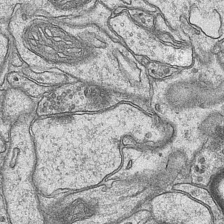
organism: Mouse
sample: CA1 Hippocampus